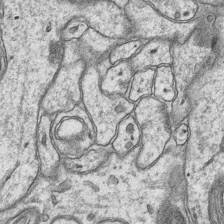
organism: Mouse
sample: CA1 Hippocampus